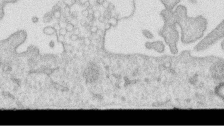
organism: Human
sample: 1205lu cells